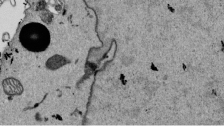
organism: Mouse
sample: ED-1 cell nuclei; centrioles